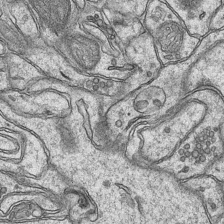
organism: Mouse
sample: CA1 Hippocampus